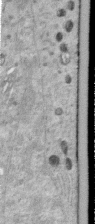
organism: Human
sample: Centriole in RPE cells